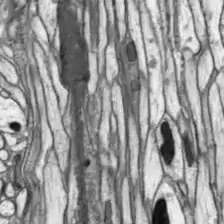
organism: Drosophila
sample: Optic lobe